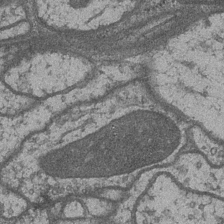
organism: Drosophila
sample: Optic medulla